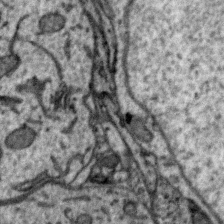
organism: Zebra finch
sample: Brain